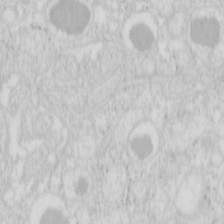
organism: Mouse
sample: Pancreas